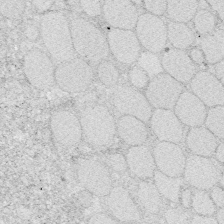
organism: Zebrafish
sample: Whole-Brain